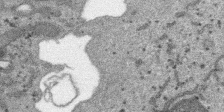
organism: Human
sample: Lung epithelial cells infected with SARS-CoV-2